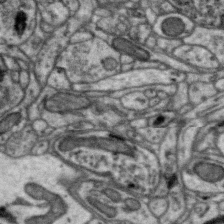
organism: Zebra finch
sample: Brain